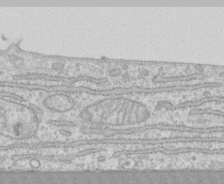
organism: Human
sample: CRL-1474